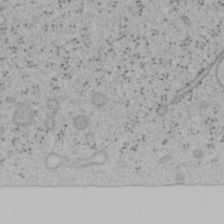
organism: Human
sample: HeLa cells